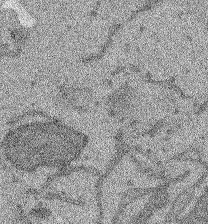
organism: Human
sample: HeLa cells